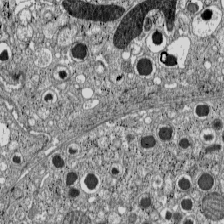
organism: C57BL Mouse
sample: Pancreatic islet